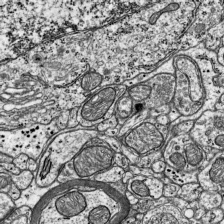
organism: Mouse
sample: Visual Cortex